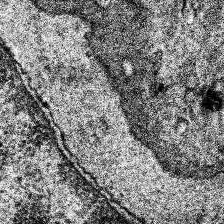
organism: Human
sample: Temporal Lobe